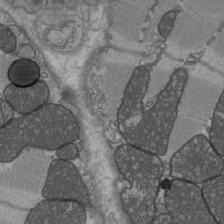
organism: C57BL Mouse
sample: Heart